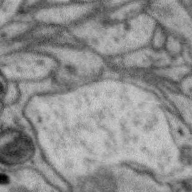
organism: Zebra finch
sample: Brain